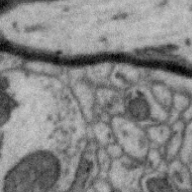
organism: Zebra finch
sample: Brain